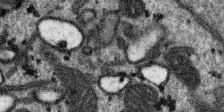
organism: Human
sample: Lung epithelial cells infected with SARS-CoV-2